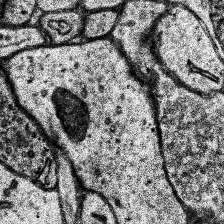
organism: Human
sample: Temporal Lobe